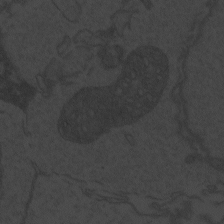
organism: Zebrafish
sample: Macrophage infected with Toxoplasma gondii